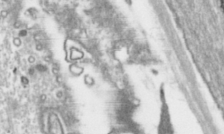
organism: Toxoplasma gondii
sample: Parasites in a vacuole inside a host cell